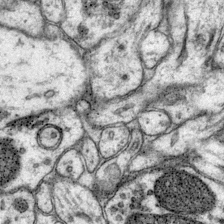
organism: Mouse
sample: Primary visual cortex